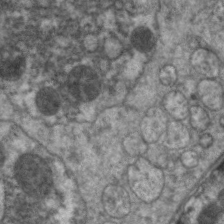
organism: C. elegans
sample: Pharynx